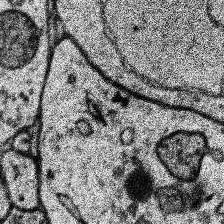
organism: Human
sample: Temporal Lobe